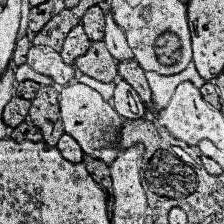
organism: Human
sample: Temporal Lobe